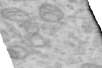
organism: Human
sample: Centriole in RPE cells